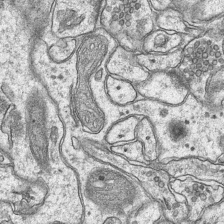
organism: Mouse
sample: CA1 Hippocampus